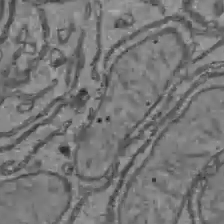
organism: C57BL Mouse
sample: Liver